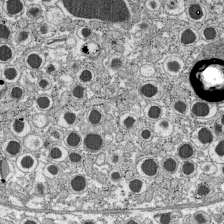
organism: C57BL Mouse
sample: Pancreatic islet